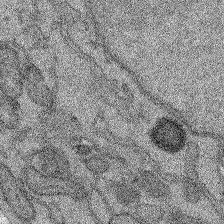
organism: Human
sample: HeLa cells